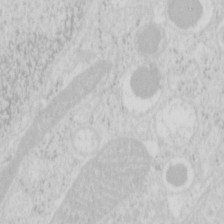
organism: Mouse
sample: Pancreas